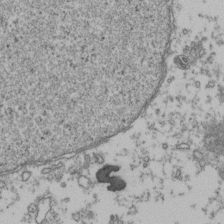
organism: Human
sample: Activated Jurkat CD4+ T cells